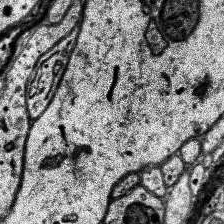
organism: Human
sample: Temporal Lobe